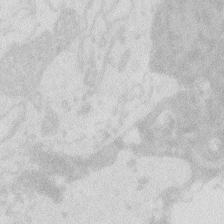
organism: Zebrafish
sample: Macrophage